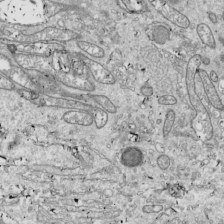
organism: Drosophila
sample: Cell division; meiosis; drosophila spermatocytes